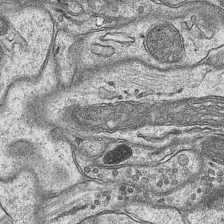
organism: Mouse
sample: CA1 Hippocampus